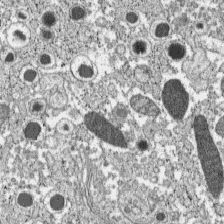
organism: C57BL Mouse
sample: Pancreatic islet